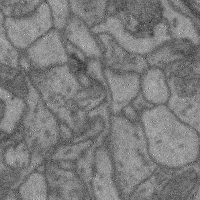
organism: Mouse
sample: Cerebral cortex